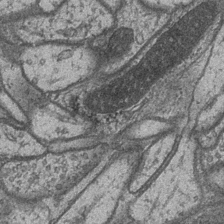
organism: Drosophila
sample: Optic medulla